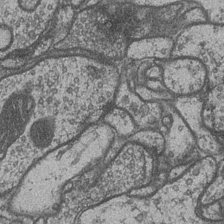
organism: Drosophila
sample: Optic medulla